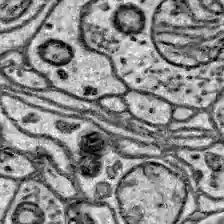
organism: Zebrafish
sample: Brain